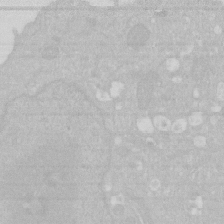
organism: Human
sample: HIV infected U937 cells